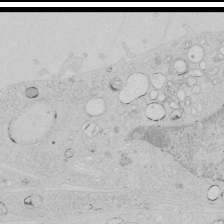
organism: Human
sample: Mitochondria in HCT116 cells